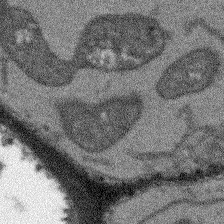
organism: Arabidopsis thaliana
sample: Root tip